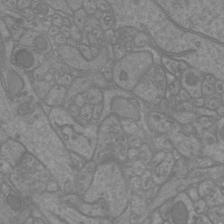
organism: Mouse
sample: Cortical neurons